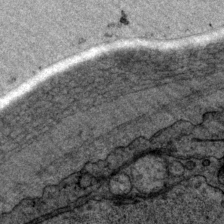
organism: P. pacificus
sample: Pharynx